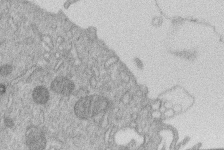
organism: Human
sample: Macrophage cells